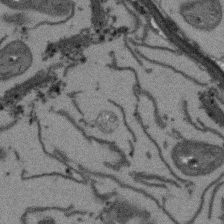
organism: Arabidopsis thaliana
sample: Root tip